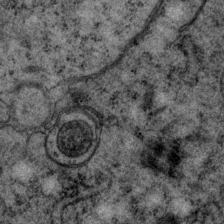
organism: P. pacificus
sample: Pharynx